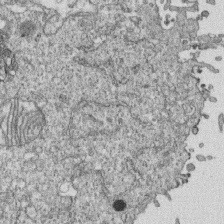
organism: Human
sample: HeLa cell HIV synapse